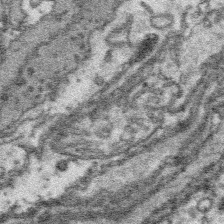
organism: Platynereis dumerilii